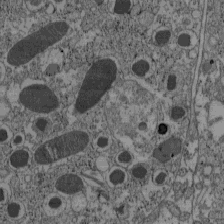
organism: C57BL Mouse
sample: Pancreatic islet